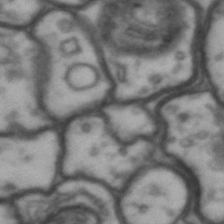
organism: Drosophila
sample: Brain